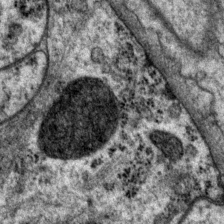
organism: P. pacificus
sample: Pharynx